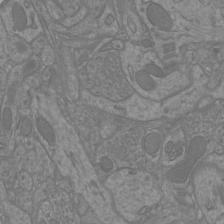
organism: Mouse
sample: Cortical neurons